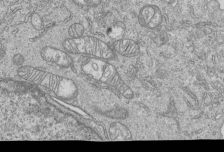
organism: Human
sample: MDA-MB-231 cells